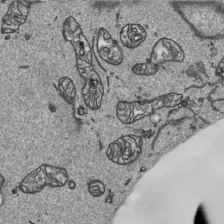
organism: Human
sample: Mitochondria in HCT116 cells